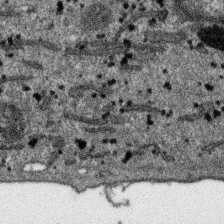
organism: Human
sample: Lung epithelial cells infected with SARS-CoV-2